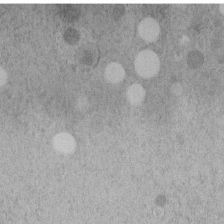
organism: C. elegans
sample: C. elegans embryo early stage